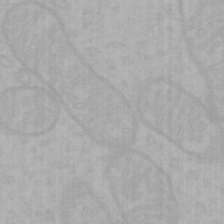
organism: Mouse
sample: Choroid plexus